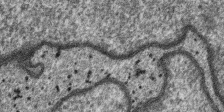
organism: Human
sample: Lung epithelial cells infected with SARS-CoV-2